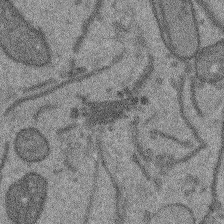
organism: Arabidopsis thaliana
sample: Root tip